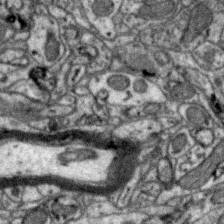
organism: Zebra finch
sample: Brain